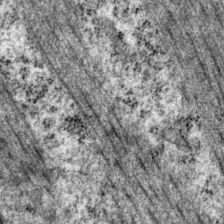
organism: P. pacificus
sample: Pharynx